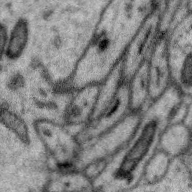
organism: Zebra finch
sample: Brain